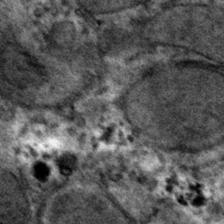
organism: Mouse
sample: Mouse hepatocytes